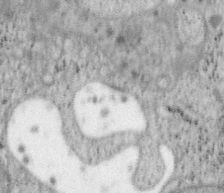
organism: Mouse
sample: OT-I killer T cells with ID8 ovarian cancer cells